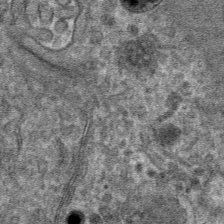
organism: Mouse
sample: Mouse hepatocytes